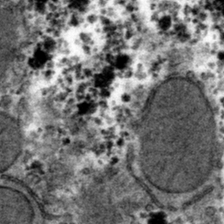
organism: Mouse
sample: Mouse hepatocytes